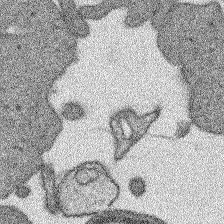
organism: Human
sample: HeLa cells